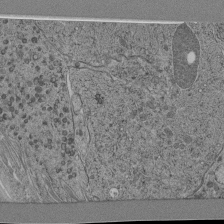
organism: C. elegans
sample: C. elegans pharynx